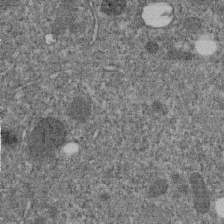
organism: C. elegans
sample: C. elegans embryo early stage